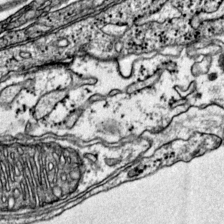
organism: Mouse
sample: Primary visual cortex